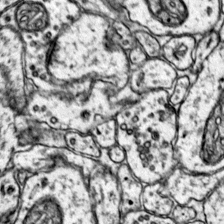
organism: Mouse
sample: Primary visual cortex